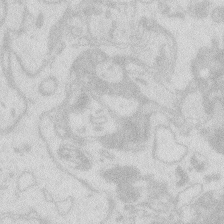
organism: Zebrafish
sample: Macrophage